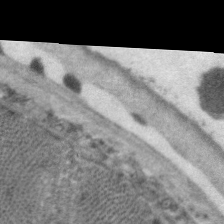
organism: C. elegans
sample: Pharynx